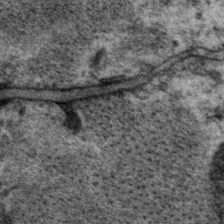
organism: P. pacificus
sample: Pharynx